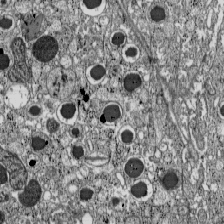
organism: C57BL Mouse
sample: Pancreatic islet